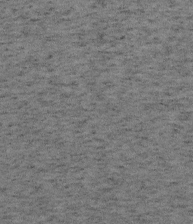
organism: Mouse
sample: OT-I killer T cells with ID8 ovarian cancer cells